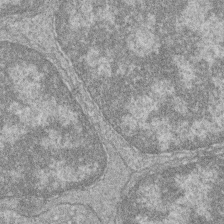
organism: Zebrafish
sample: Cilia; retinal pigment epithelium